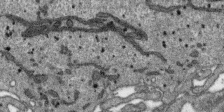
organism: Human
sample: Lung epithelial cells, uninfected (mock) control